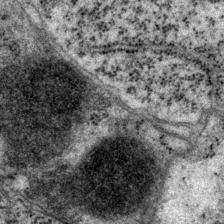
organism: P. pacificus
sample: Pharynx